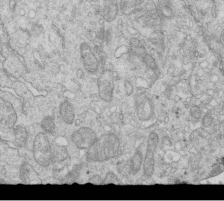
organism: Mouse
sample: Multiciliated cells